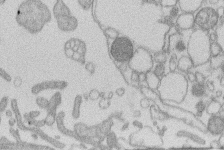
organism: Human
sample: Macrophage cells